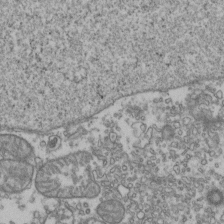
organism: Human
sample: Activated Jurkat CD4+ T cells